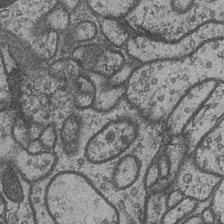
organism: Drosophila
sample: Optic medulla